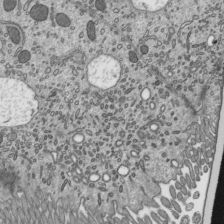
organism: Mouse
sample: Mouse epididymis efferent ductule cilia